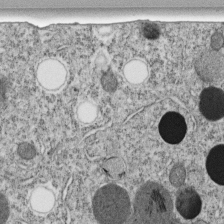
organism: C. elegans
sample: C. elegans embryo early stage